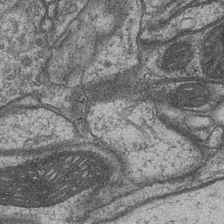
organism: Drosophila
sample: Optic medulla